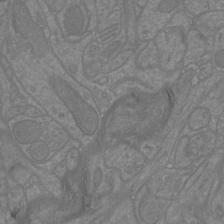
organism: Mouse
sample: Cortical neurons